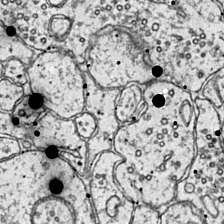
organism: Mouse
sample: Primary visual cortex